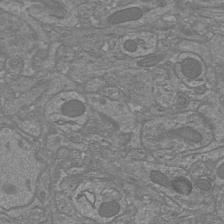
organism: Mouse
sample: Cortical neurons